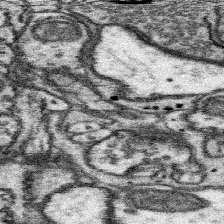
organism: Mouse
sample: Somatosensory cortex neuropil